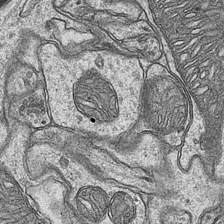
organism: Mouse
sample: CA1 Hippocampus